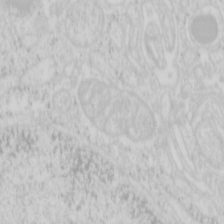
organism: Mouse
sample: Pancreas